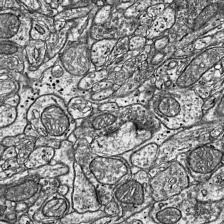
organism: Mouse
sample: Visual Cortex